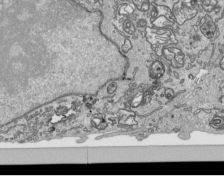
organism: Human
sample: Mitochondria in HCT116 cells